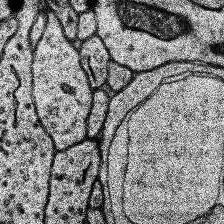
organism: Human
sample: Temporal Lobe